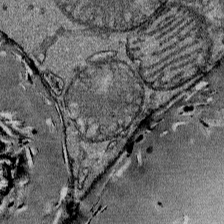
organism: Mouse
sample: Mouse Salivary gland